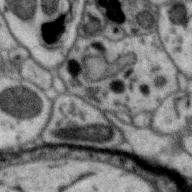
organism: Zebra finch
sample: Brain